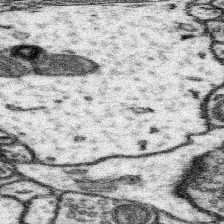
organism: Mouse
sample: Somatosensory cortex neuropil